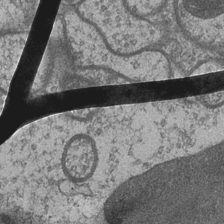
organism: Drosophila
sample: Optic medulla